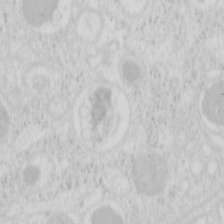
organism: Mouse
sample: Pancreas